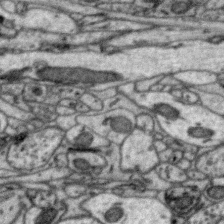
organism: Zebra finch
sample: Brain